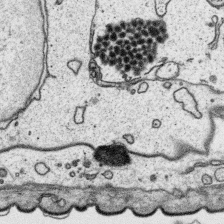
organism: Platynereis dumerilii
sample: Parapodia